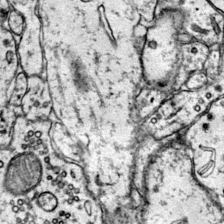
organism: Mouse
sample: Primary visual cortex